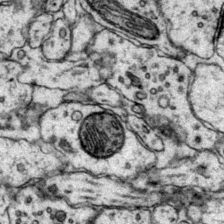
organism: Mouse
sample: Primary visual cortex